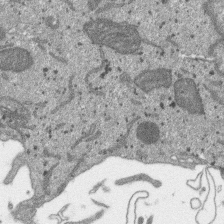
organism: Human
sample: Lung epithelial cells infected with SARS-CoV-2